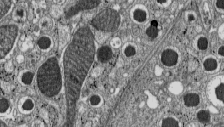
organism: C57BL Mouse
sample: Pancreatic islet